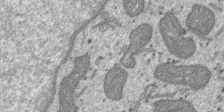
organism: Human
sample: Lung epithelial cells infected with SARS-CoV-2